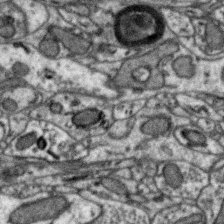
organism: Zebra finch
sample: Brain